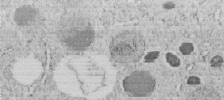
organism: C. elegans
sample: C. elegans embryo early stage